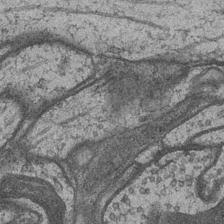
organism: Drosophila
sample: Optic medulla